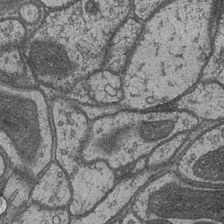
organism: Drosophila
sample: Optic medulla